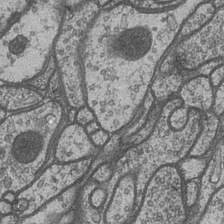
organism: Drosophila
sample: Optic medulla